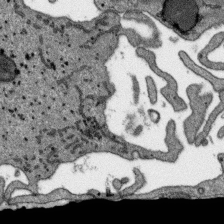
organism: Human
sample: Lung epithelial cells, uninfected (mock) control